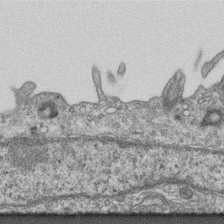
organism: Mouse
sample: Centriole in ependymal cells